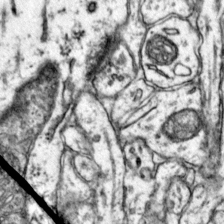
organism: Mouse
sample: Primary visual cortex